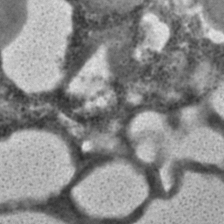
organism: C. elegans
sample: C. elegans embryo